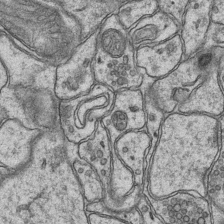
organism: Mouse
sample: CA1 Hippocampus